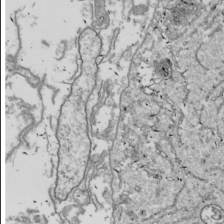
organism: Drosophila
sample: Cell division; meiosis; drosophila spermatocytes